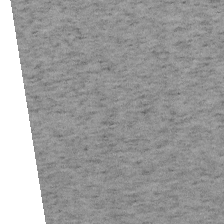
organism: Mouse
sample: OT-I killer T cells with ID8 ovarian cancer cells